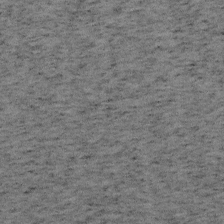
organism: Mouse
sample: OT-I killer T cells with ID8 ovarian cancer cells